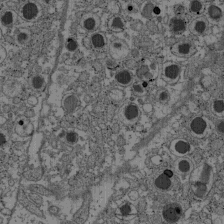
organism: C57BL Mouse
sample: Pancreatic islet